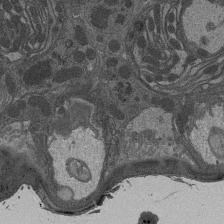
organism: Drosophila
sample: Antenna